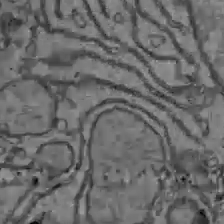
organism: C57BL Mouse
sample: Liver